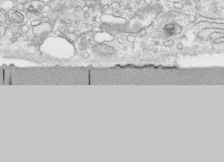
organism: Human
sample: CRL-1474